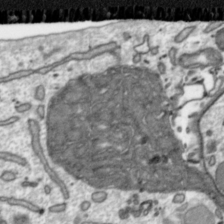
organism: Toxoplasma gondii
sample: Parasites in a vacuole inside a host cell